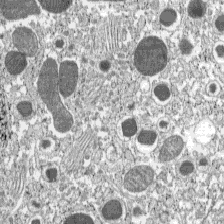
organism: C57BL Mouse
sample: Pancreatic islet